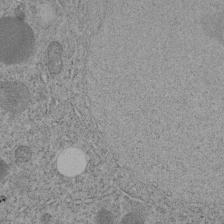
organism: C. elegans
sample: C. elegans embryo early stage